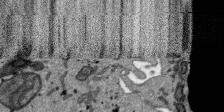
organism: Human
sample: Lung epithelial cells, uninfected (mock) control